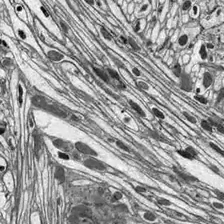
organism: Drosophila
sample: Optic lobe